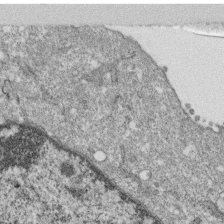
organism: African green monkey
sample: Vero E6 cells infected with SARS-CoV-2